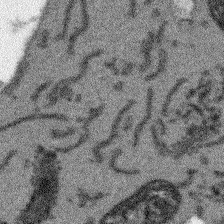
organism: Arabidopsis thaliana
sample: Root tip